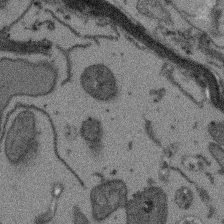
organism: Arabidopsis thaliana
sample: Root tip